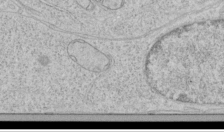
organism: Human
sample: Mitochondria in HCT116 cells